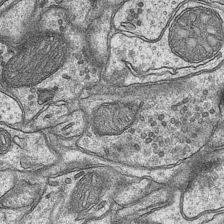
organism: Mouse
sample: CA1 Hippocampus